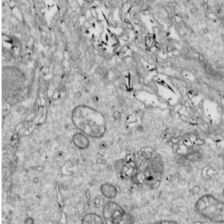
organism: Drosophila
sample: Cell division; meiosis; drosophila spermatocytes